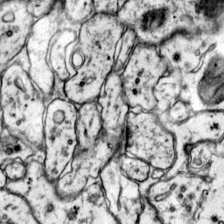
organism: Mouse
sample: Primary visual cortex